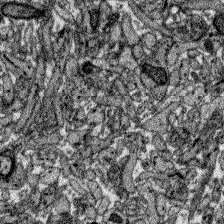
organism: Zebrafish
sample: Larval olfactory bulb